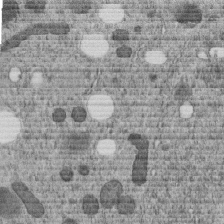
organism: C. elegans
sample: C. elegans embryo early stage